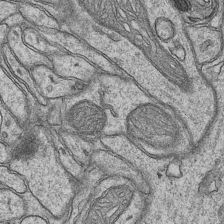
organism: Mouse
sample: CA1 Hippocampus